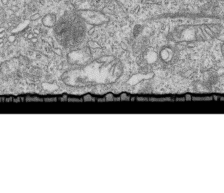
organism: Human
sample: HeLa cell HIV synapse